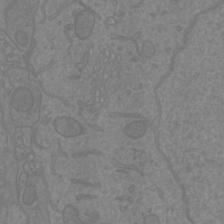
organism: Mouse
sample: Cortical neurons